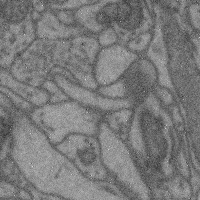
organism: Mouse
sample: Cerebral cortex